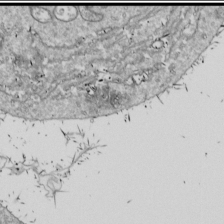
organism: Drosophila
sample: Cell division; meiosis; drosophila spermatocytes